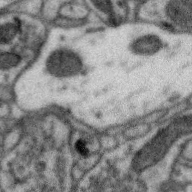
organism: Zebra finch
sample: Brain